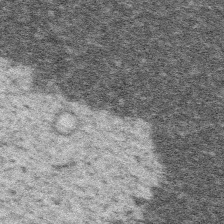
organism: Platynereis dumerilii